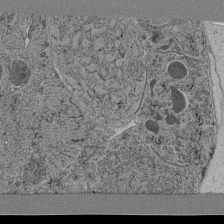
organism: C. elegans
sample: C. elegans pharynx